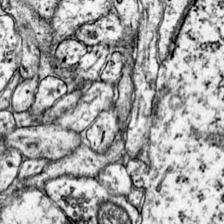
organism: Mouse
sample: Primary visual cortex